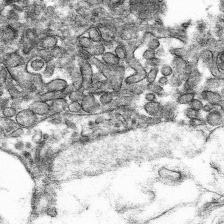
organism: Mouse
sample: Mouse hepatocytes